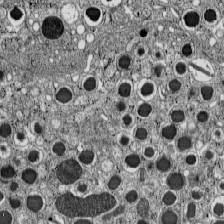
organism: C57BL Mouse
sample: Pancreatic islet